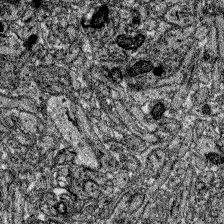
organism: Zebrafish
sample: Larval olfactory bulb